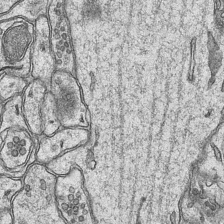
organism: Mouse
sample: CA1 Hippocampus